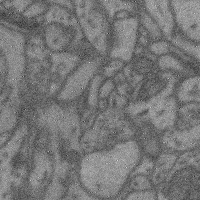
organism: Mouse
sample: Cerebral cortex